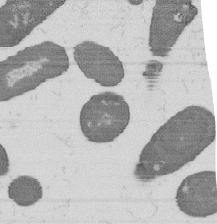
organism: B. subtilis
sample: Bacterial spore